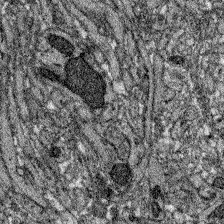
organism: Zebrafish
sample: Larval olfactory bulb